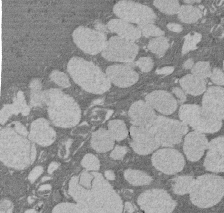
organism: Rat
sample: Salivary granule